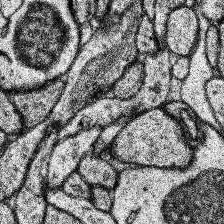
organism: Human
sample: Temporal Lobe